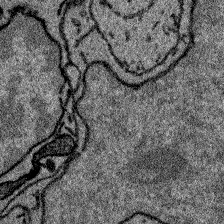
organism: Zebrafish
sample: Larval olfactory bulb